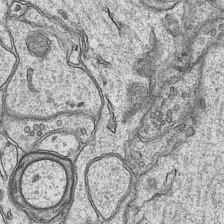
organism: Mouse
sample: CA1 Hippocampus